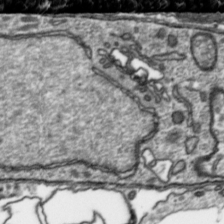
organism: Toxoplasma gondii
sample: Parasites in a vacuole inside a host cell